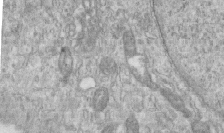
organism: Human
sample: Centriole in RPE cells